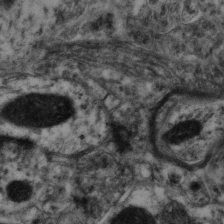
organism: Mouse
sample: Neocortex